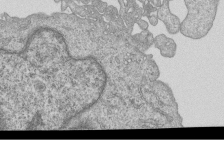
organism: Human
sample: MDA-MB-231 cells